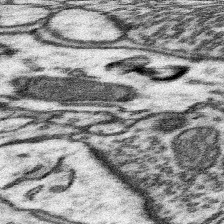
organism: Mouse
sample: Somatosensory cortex neuropil